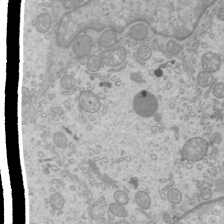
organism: Mouse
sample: Cilia; mouse epididymis